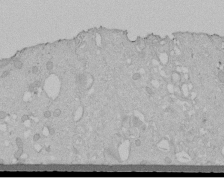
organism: Human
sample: Melanocyte Keratinocyte synapse skin construct